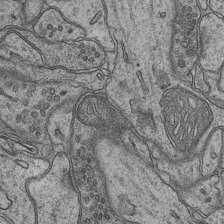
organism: Mouse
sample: CA1 Hippocampus